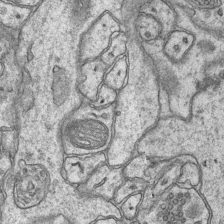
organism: Mouse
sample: CA1 Hippocampus